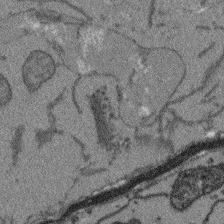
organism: Arabidopsis thaliana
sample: Root tip